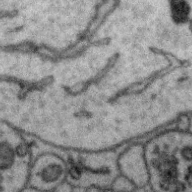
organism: Zebra finch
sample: Brain